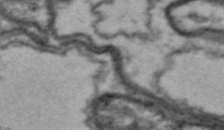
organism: Drosophila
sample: Brain